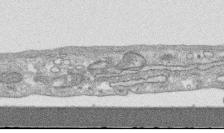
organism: Human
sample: CRL-1474